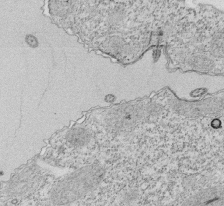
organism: Tetrahymena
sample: Cilia in tetrahymena